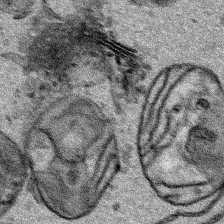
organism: Human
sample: Mitochondria in HCT116 cells